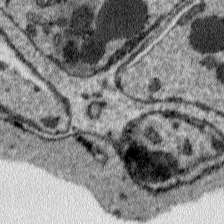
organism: Plasmodium falciparum